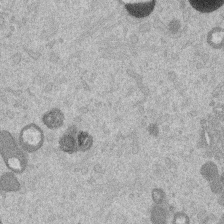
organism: Mouse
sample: Dividing mouse embryo 1 cell stage